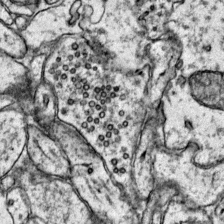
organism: Mouse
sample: Primary visual cortex